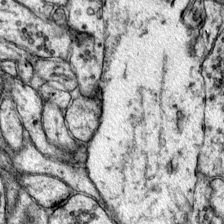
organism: Mouse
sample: Primary visual cortex